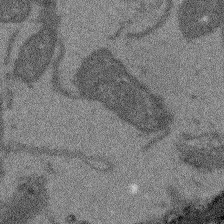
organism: Arabidopsis thaliana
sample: Root tip